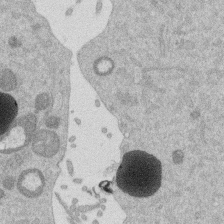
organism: Mouse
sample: Dividing mouse embryo 1 cell stage